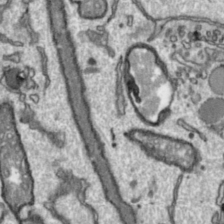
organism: Toxoplasma gondii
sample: Parasites in a vacuole inside a host cell